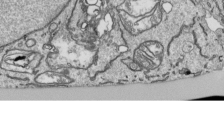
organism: Human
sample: Mitochondria in HCT116 cells